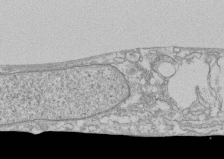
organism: Human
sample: CRL-1474